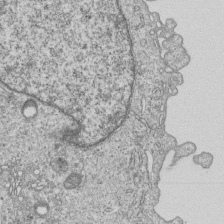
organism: Human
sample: MDA-MB-231 cells